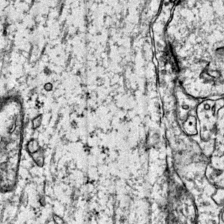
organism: Mouse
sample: Primary visual cortex